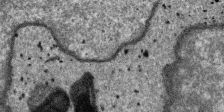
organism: Human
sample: Lung epithelial cells, uninfected (mock) control